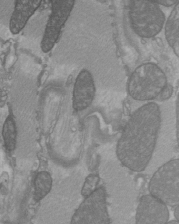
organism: C57BL Mouse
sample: Heart